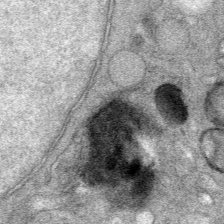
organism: Mouse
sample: Mouse Salivary gland